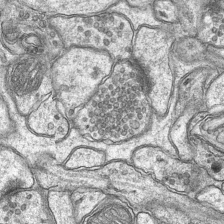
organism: Mouse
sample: CA1 Hippocampus